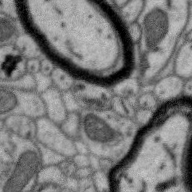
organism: Zebra finch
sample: Brain